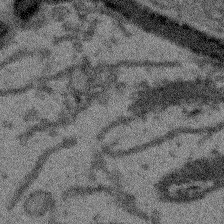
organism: Arabidopsis thaliana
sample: Root tip